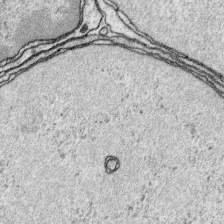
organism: Platynereis dumerilii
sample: Parapodia